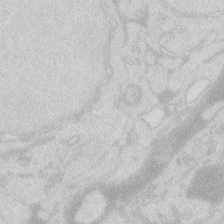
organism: Zebrafish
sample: Macrophage